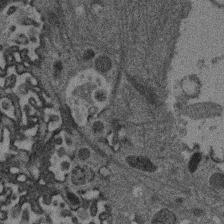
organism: Mouse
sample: Dividing mouse embryo 1 cell stage